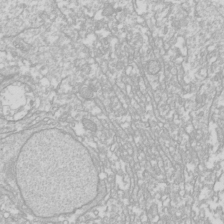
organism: Drosophila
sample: Cell division; meiosis; drosophila spermatocytes